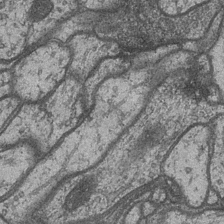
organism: Drosophila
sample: Optic medulla